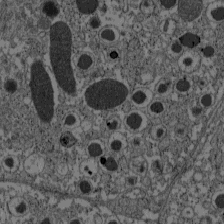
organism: C57BL Mouse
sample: Pancreatic islet